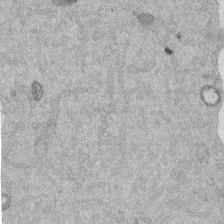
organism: Mouse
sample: Dividing mouse embryo 1 cell stage